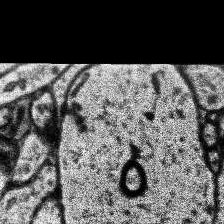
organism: Human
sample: Temporal Lobe